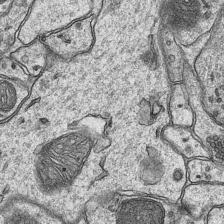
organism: Mouse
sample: CA1 Hippocampus